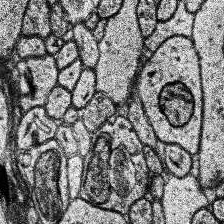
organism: Human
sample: Temporal Lobe